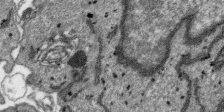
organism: Human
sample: Lung epithelial cells, uninfected (mock) control